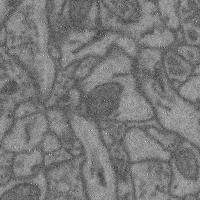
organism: Mouse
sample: Cerebral cortex